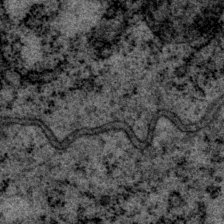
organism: P. pacificus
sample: Pharynx